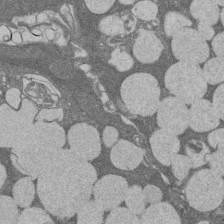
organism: Rat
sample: Salivary granule